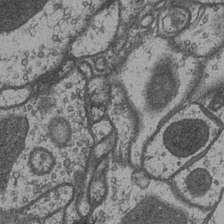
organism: Drosophila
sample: Optic medulla